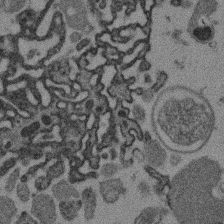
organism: Mouse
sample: Dividing mouse embryo 1 cell stage